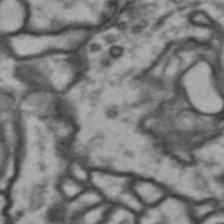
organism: Drosophila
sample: Brain